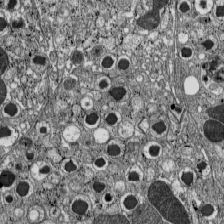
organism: C57BL Mouse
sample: Pancreatic islet